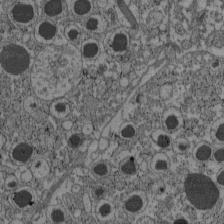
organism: C57BL Mouse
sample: Pancreatic islet